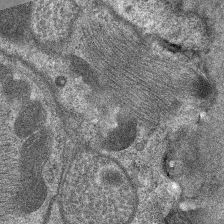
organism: C. elegans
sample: Pharynx